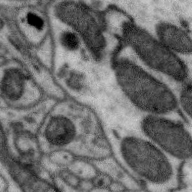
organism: Zebra finch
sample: Brain